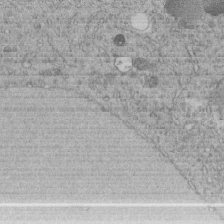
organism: C. elegans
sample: C. elegans embryo early stage